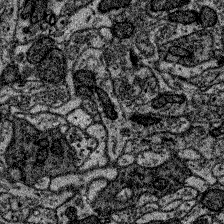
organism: Zebrafish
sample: Larval olfactory bulb